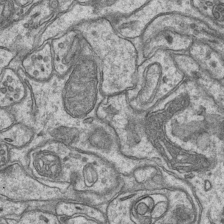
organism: Mouse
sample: CA1 Hippocampus